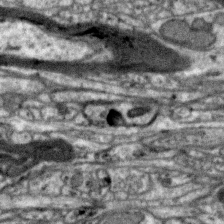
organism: Zebra finch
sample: Brain